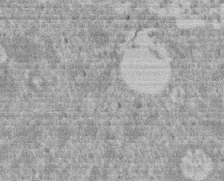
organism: Mouse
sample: Dividing mouse embryo 1 cell stage